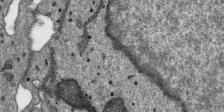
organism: Human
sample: Lung epithelial cells, uninfected (mock) control